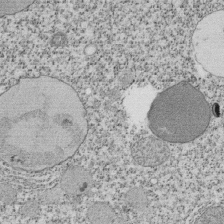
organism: Tetrahymena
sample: Cilia in tetrahymena